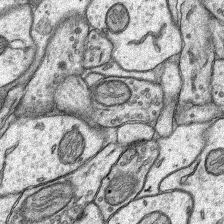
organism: Rat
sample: Hippocampus